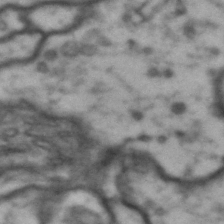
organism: Drosophila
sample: Brain